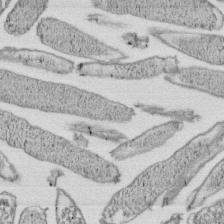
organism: E. coli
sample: Bacterial nucleoid